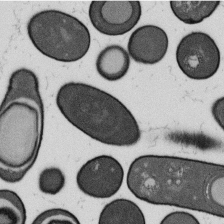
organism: B. subtilis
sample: Bacterial spore